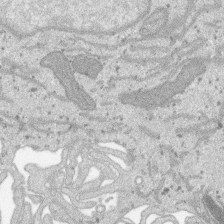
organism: Human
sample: Lung epithelial cells infected with SARS-CoV-2